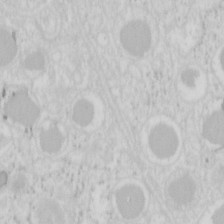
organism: Mouse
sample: Pancreas